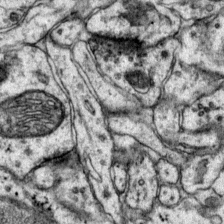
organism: Mouse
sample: Primary visual cortex